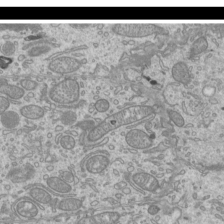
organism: Mouse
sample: Cilia; mouse epididymis